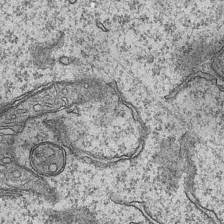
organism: Mouse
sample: CA1 Hippocampus